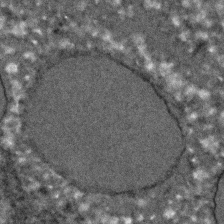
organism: C. elegans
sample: C. elegans embryo